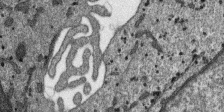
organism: Human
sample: Lung epithelial cells infected with SARS-CoV-2